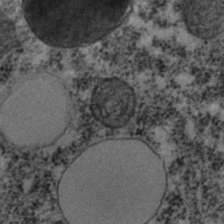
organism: C. elegans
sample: C. elegans embryo